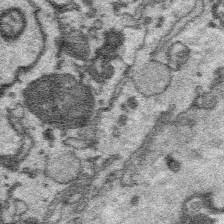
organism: Platynereis dumerilii